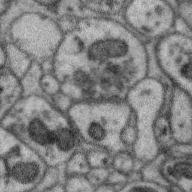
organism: Zebra finch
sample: Brain